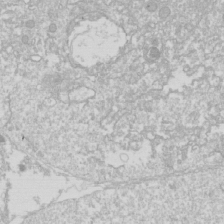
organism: Drosophila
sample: Cell division; meiosis; drosophila spermatocytes